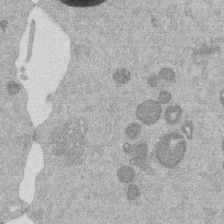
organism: Mouse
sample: Dividing mouse embryo 1 cell stage